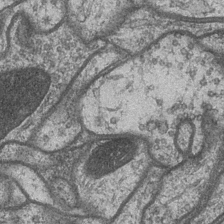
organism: Drosophila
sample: Optic medulla